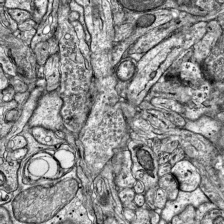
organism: Mouse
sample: Visual Cortex